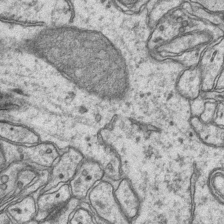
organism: Mouse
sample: CA1 Hippocampus